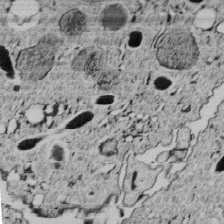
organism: C. elegans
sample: C. elegans embryo early stage